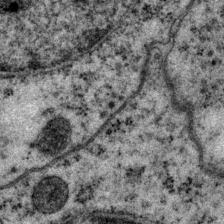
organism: P. pacificus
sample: Pharynx